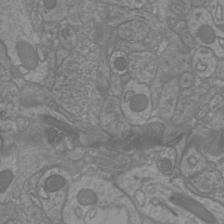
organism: Mouse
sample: Cortical neurons